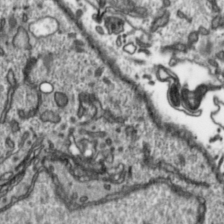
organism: Toxoplasma gondii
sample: Parasites in a vacuole inside a host cell